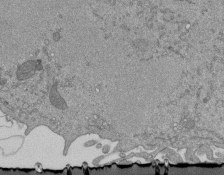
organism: Mouse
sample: ED-1 cell nuclei; centrioles